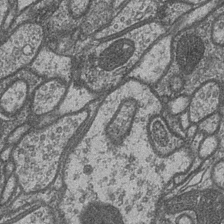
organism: Drosophila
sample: Optic medulla